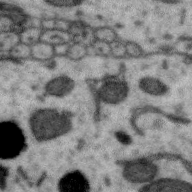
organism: Zebra finch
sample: Brain